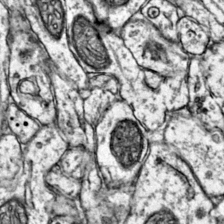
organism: Mouse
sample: Primary visual cortex